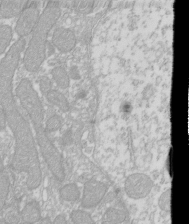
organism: Xenopus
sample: Cilia; centrioles in frog embryo cells